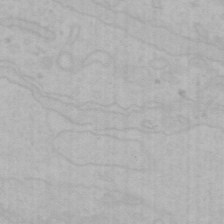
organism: Mouse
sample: Choroid plexus